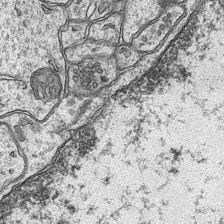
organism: Mouse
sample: CA1 Hippocampus